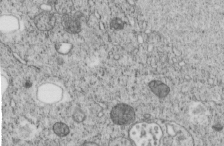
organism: C. elegans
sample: C. elegans embryo early stage